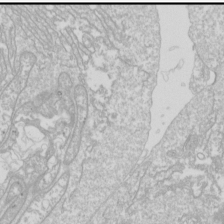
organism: Drosophila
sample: Cell division; meiosis; drosophila spermatocytes